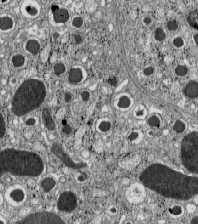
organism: C57BL Mouse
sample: Pancreatic islet